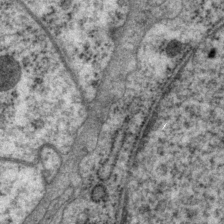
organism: P. pacificus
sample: Pharynx